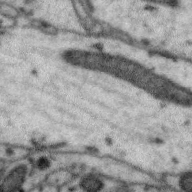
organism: Zebra finch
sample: Brain